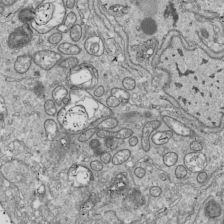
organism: Drosophila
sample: Cell division; meiosis; drosophila spermatocytes